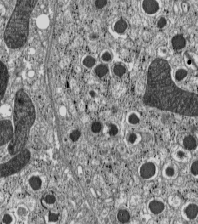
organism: C57BL Mouse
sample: Pancreatic islet